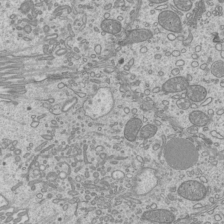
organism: Mouse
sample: Cilia; mouse epididymis